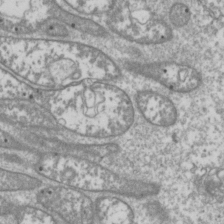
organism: Drosophila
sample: Cell division; meiosis; drosophila spermatocytes